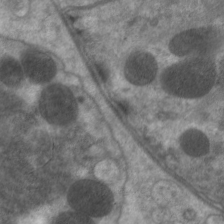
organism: C. elegans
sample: Pharynx